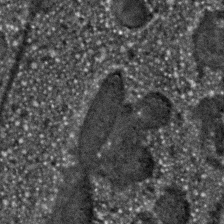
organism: C. elegans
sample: C. elegans embryo